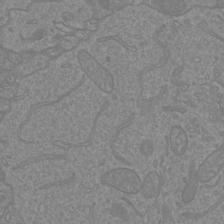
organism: Mouse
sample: Cortical neurons